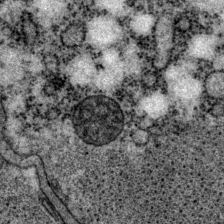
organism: P. pacificus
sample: Pharynx